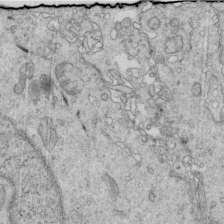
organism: Mouse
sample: Multiciliated cells